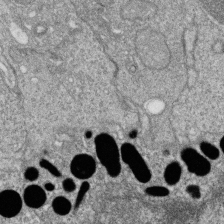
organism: Zebrafish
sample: Cilia; retinal pigment epithelium